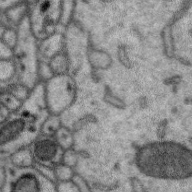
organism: Zebra finch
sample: Brain